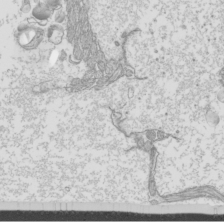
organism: Mouse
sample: Cilia; mouse epididymis